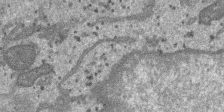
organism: Human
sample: Lung epithelial cells infected with SARS-CoV-2